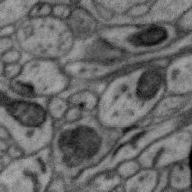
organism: Zebra finch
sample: Brain